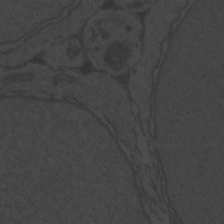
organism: Zebrafish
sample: Macrophage infected with Toxoplasma gondii